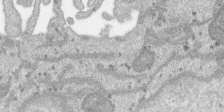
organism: Human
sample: Lung epithelial cells infected with SARS-CoV-2